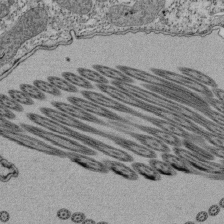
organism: Tetrahymena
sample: Cilia in tetrahymena